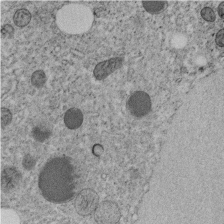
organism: C. elegans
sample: C. elegans embryo early stage